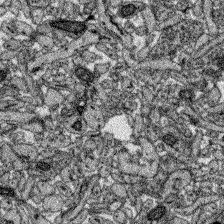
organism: Zebrafish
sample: Larval olfactory bulb